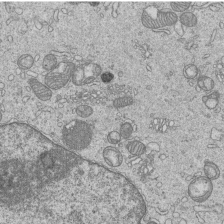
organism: Human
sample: MDA-MB-231 cells